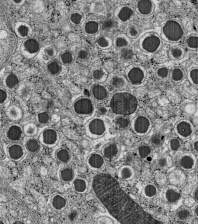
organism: C57BL Mouse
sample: Pancreatic islet